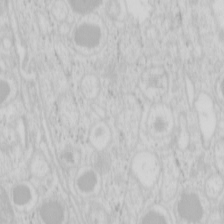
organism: Mouse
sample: Pancreas